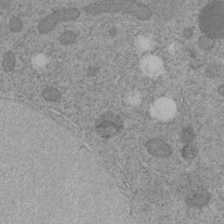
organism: C. elegans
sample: C. elegans embryo early stage